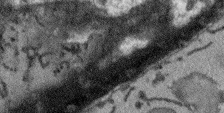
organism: Arabidopsis thaliana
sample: Root tip